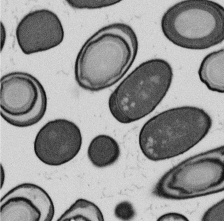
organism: B. subtilis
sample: Bacterial spore